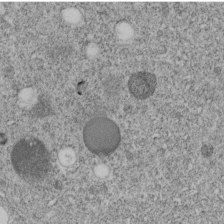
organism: C. elegans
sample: C. elegans embryo early stage